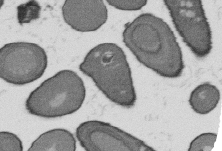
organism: B. subtilis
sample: Bacterial spore